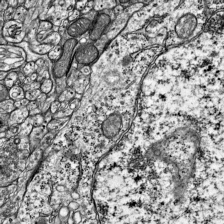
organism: Mouse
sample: Visual Cortex